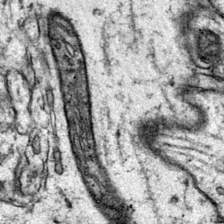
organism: Mouse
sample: Primary visual cortex